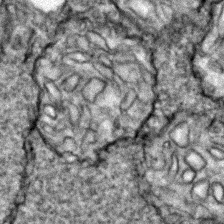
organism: Zebrafish